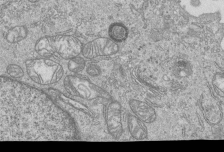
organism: Human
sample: MDA-MB-231 cells